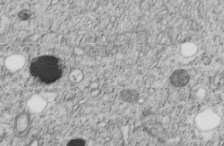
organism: C. elegans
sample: C. elegans embryo early stage